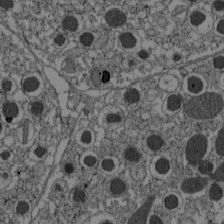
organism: C57BL Mouse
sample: Pancreatic islet